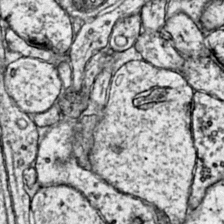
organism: Mouse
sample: Primary visual cortex